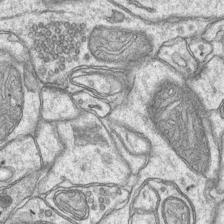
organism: Mouse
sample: CA1 Hippocampus